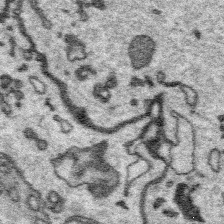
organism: Platynereis dumerilii